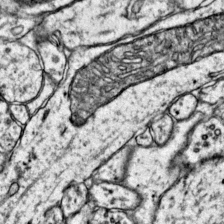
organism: Mouse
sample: Primary visual cortex